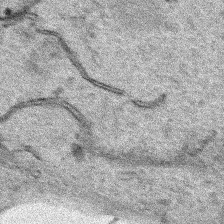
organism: Human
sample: Mitochondria in HCT116 cells